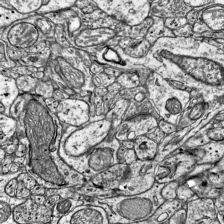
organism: Mouse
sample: Visual Cortex